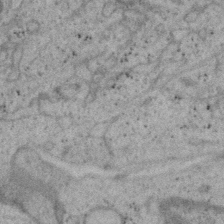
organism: Human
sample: HeLa cells